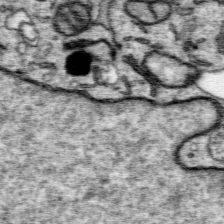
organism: Human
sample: HeLa cells